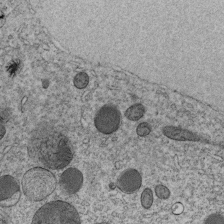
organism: C. elegans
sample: C. elegans embryo early stage